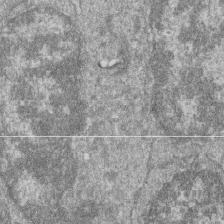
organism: Zebrafish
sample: Cilia; retinal pigment epithelium